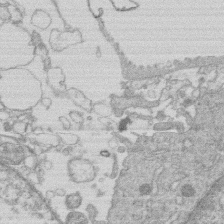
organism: Human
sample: Macrophage cells